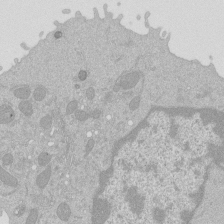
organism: Mouse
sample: Activated Pmel transgenic CD8+ T Cells